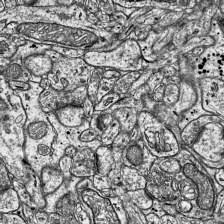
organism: Mouse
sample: Visual Cortex